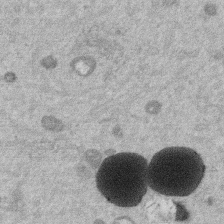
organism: Mouse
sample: Dividing mouse embryo 1 cell stage